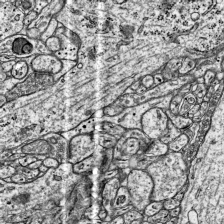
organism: Mouse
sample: Visual Cortex